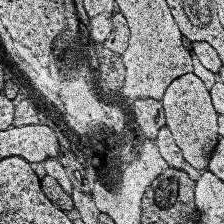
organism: Human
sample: Temporal Lobe